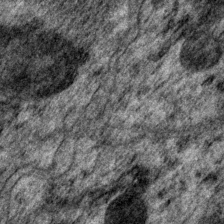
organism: P. pacificus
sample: Pharynx